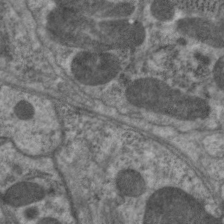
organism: C. elegans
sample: Pharynx